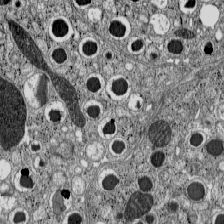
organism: C57BL Mouse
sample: Pancreatic islet